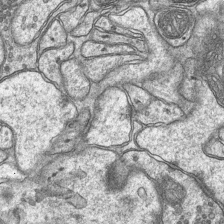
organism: Mouse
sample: CA1 Hippocampus